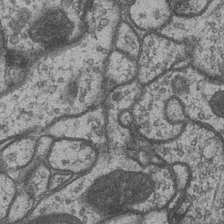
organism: Drosophila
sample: Optic medulla